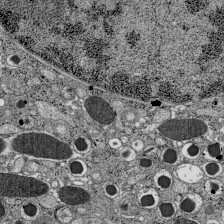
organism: C57BL Mouse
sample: Pancreatic islet